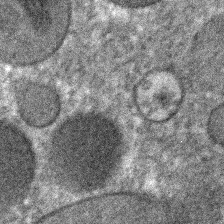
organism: C. elegans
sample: C. elegans embryo